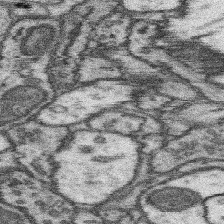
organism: Mouse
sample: Somatosensory cortex neuropil